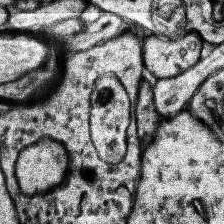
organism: Human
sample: Temporal Lobe